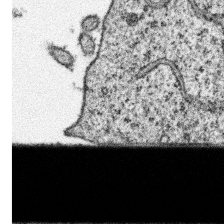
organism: Human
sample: HeLa cells